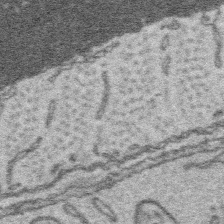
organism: Platynereis dumerilii